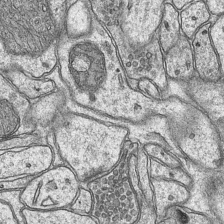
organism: Mouse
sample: CA1 Hippocampus